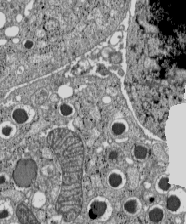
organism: C57BL Mouse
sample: Pancreatic islet